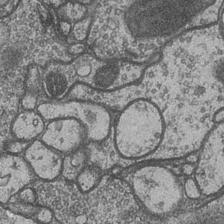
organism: Drosophila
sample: Optic medulla